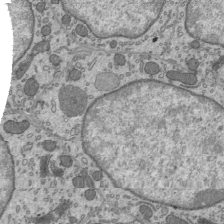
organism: Mouse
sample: Mouse epididymis efferent ductule cilia